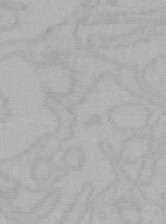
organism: Mouse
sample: Choroid plexus